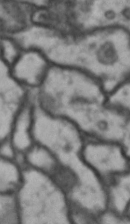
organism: Drosophila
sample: Brain